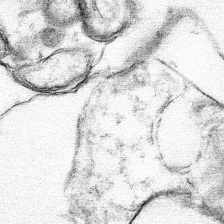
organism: Mouse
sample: Mouse hepatocytes